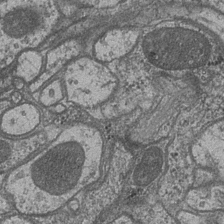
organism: Drosophila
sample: Optic medulla